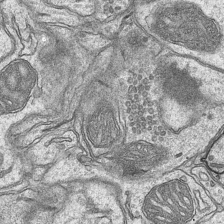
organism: Mouse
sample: CA1 Hippocampus